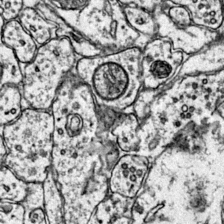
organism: Mouse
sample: Primary visual cortex